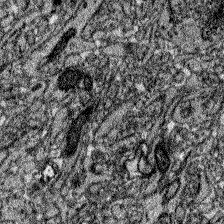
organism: Zebrafish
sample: Larval olfactory bulb